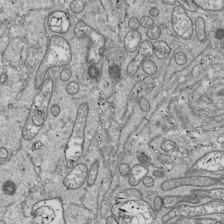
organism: Drosophila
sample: Cell division; meiosis; drosophila spermatocytes